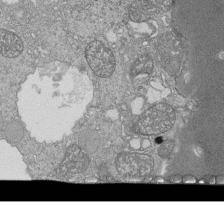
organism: Tetrahymena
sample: Cilia in tetrahymena